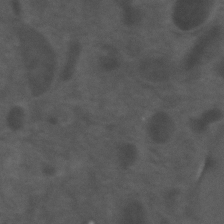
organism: Zebrafish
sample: Zebrafish embryo